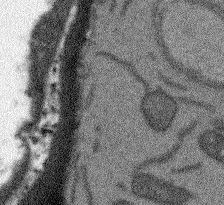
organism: Arabidopsis thaliana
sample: Root tip